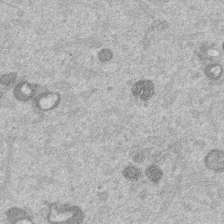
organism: Mouse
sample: Dividing mouse embryo 1 cell stage